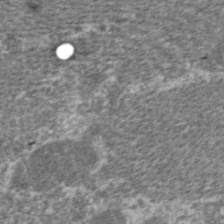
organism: C. elegans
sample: Pharynx